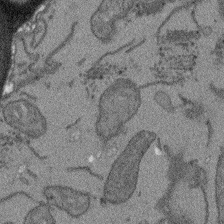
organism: Arabidopsis thaliana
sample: Root tip